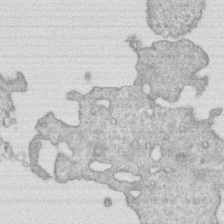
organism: Human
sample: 1205lu cells